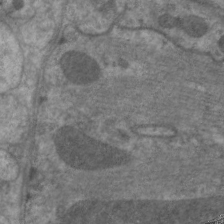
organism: C. elegans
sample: Pharynx